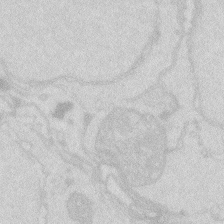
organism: Zebrafish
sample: Macrophage